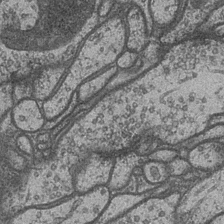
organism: Drosophila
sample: Optic medulla